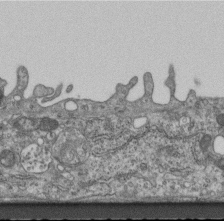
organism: Mouse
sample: Centriole in ependymal cells